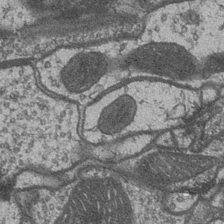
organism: Drosophila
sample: Optic medulla